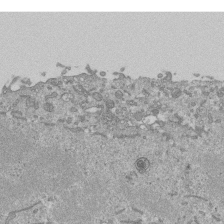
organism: Mouse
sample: ED-1 cell nuclei; centrioles